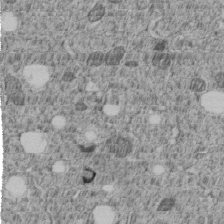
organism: C. elegans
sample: C. elegans embryo early stage